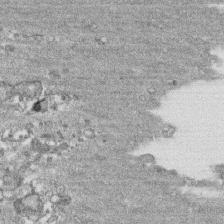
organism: Human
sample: CRL-1474